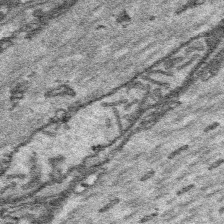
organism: Platynereis dumerilii